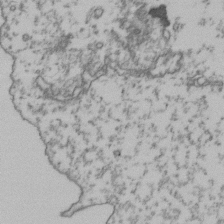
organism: Human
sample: Activated Jurkat CD4+ T cells